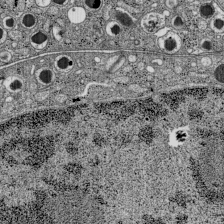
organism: C57BL Mouse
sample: Pancreatic islet